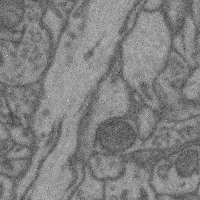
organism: Mouse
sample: Cerebral cortex